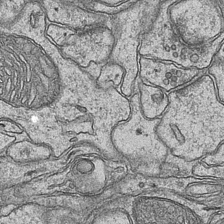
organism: Mouse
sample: CA1 Hippocampus